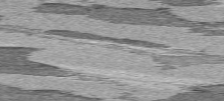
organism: C57BL Mouse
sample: Heart